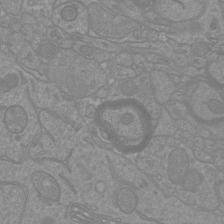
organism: Mouse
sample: Cortical neurons